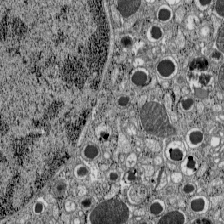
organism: C57BL Mouse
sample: Pancreatic islet